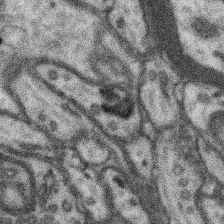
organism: Mouse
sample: Somatosensory cortex neuropil